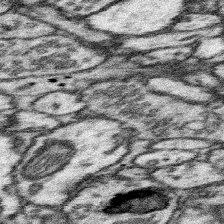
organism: Mouse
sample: Somatosensory cortex neuropil